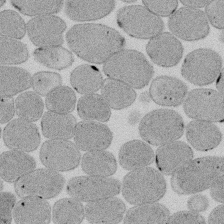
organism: E. coli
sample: Bacterial nucleoid